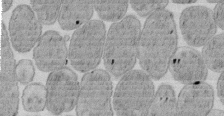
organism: E. coli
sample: Bacterial nucleoid